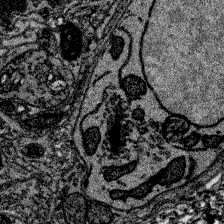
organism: Zebrafish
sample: Larval olfactory bulb